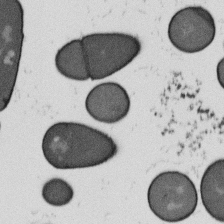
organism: B. subtilis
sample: Bacterial spore